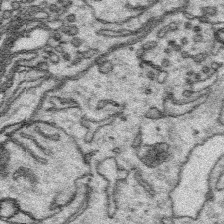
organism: Platynereis dumerilii